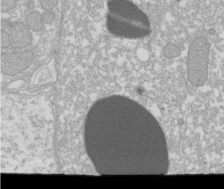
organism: Xenopus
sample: Cilia; centrioles in frog embryo cells